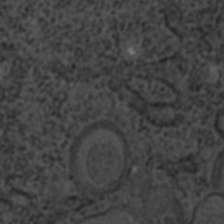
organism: C. elegans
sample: C. elegans embryo